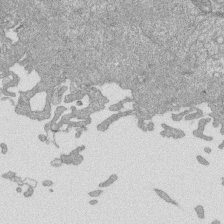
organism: Human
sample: HeLa cell HIV synapse